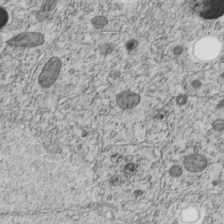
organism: C. elegans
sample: C. elegans embryo early stage